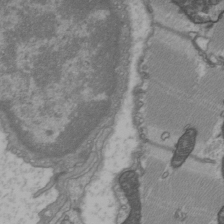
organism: C57BL Mouse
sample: Heart